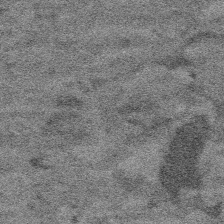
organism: Platynereis dumerilii